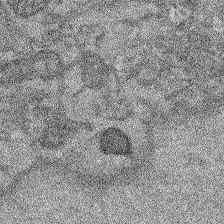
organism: Human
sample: HeLa cells